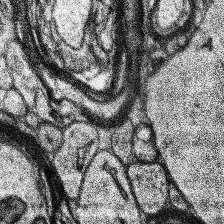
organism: Human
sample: Temporal Lobe